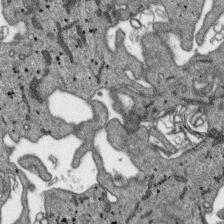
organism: Human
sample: Lung epithelial cells, uninfected (mock) control